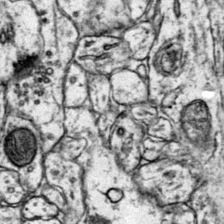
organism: Mouse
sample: Primary visual cortex